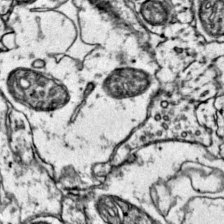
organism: Mouse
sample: Primary visual cortex